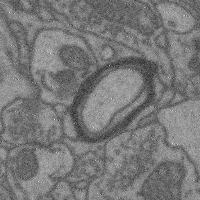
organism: Mouse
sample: Cerebral cortex